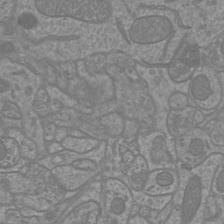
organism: Mouse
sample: Cortical neurons